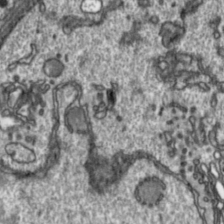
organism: Toxoplasma gondii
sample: Parasites in a vacuole inside a host cell